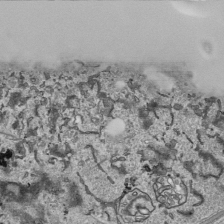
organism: Human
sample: Mitochondria in HCT116 cells